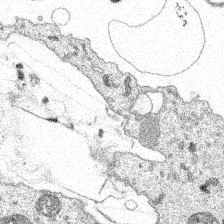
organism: Spongilla lacustris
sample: Multiple